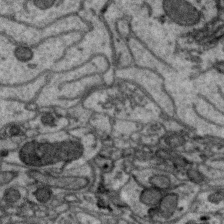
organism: Zebra finch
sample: Brain